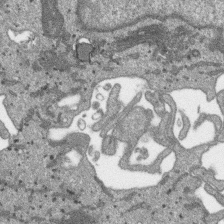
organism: Human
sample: Lung epithelial cells infected with SARS-CoV-2